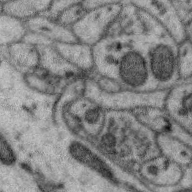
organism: Zebra finch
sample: Brain